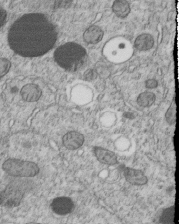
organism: C. elegans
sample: C. elegans embryo early stage